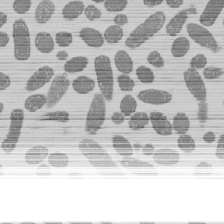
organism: E. coli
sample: Bacterial nucleoid